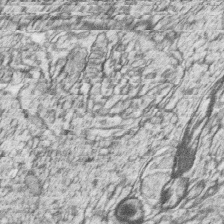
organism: Zebrafish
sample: synaptic ribbons in rod cells and cone cells